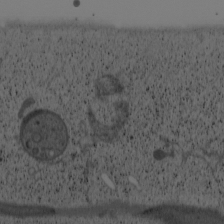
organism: African green monkey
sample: COS-7 cells